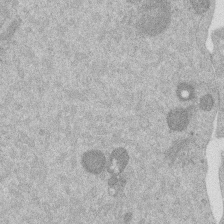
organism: Mouse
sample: Dividing mouse embryo 1 cell stage